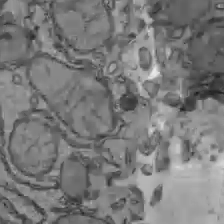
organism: C57BL Mouse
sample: Liver